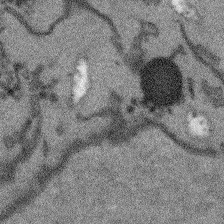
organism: Arabidopsis thaliana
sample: Root tip